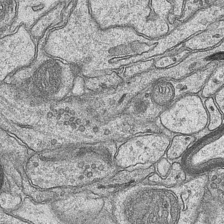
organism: Mouse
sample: CA1 Hippocampus